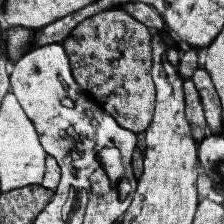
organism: Human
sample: Temporal Lobe